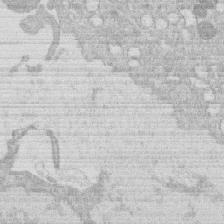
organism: Human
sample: Macrophage cells